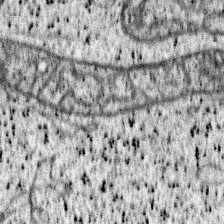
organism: Human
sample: HeLa cells